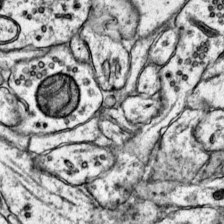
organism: Mouse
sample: Primary visual cortex